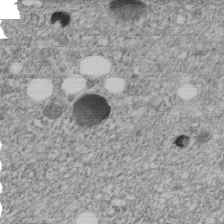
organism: C. elegans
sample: C. elegans embryo early stage